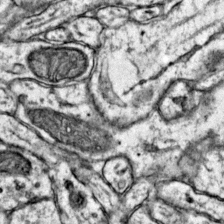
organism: Mouse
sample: Primary visual cortex